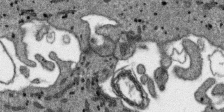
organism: Human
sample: Lung epithelial cells, uninfected (mock) control